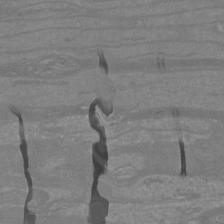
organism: Mouse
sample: Cortical neurons